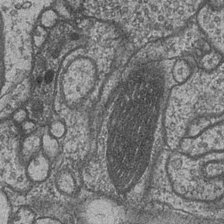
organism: Drosophila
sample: Optic medulla